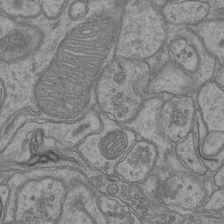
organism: Mouse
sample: CA1 Hippocampus